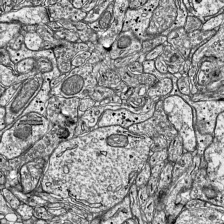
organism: Mouse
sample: Visual Cortex